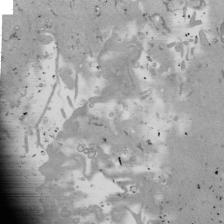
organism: Mouse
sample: ED-1 cell nuclei; centrioles